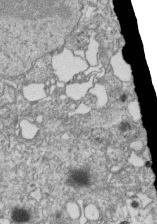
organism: Human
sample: HeLa cell HIV synapse